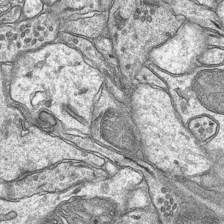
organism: Mouse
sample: CA1 Hippocampus